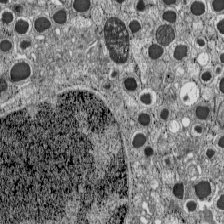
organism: C57BL Mouse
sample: Pancreatic islet